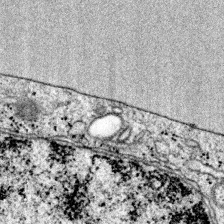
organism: Human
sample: HeLa cells